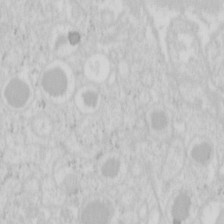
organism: Mouse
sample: Pancreas